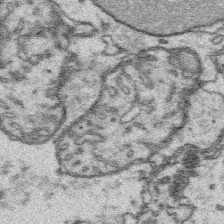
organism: Platynereis dumerilii